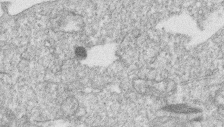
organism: Human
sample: HeLa cell HIV synapse